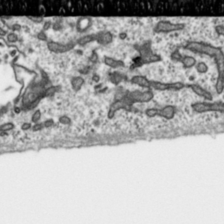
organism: Toxoplasma gondii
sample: Parasites in a vacuole inside a host cell